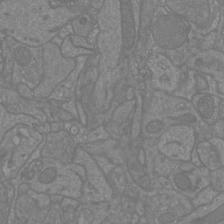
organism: Mouse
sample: Cortical neurons